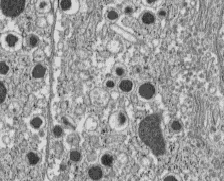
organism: C57BL Mouse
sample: Pancreatic islet